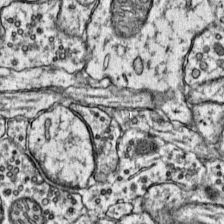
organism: Mouse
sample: Primary visual cortex